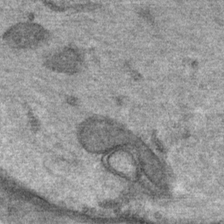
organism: Mouse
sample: Mouse Salivary gland